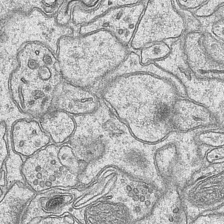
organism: Mouse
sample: CA1 Hippocampus